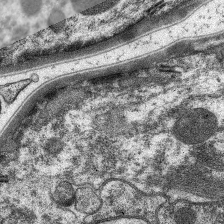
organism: C. elegans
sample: Pharynx